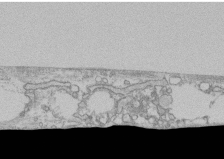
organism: Human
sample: CRL-1474